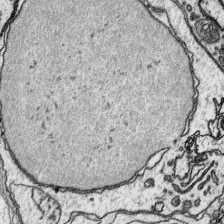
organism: Platynereis dumerilii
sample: Parapodia